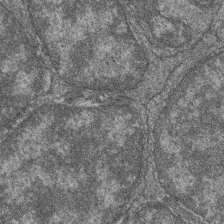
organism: Zebrafish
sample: Cilia; retinal pigment epithelium